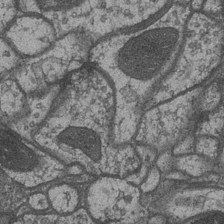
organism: Drosophila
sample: Optic medulla